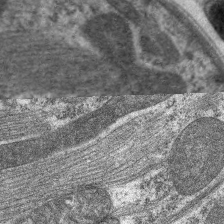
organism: C. elegans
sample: Pharynx